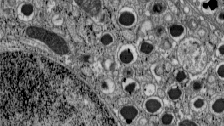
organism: C57BL Mouse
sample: Pancreatic islet